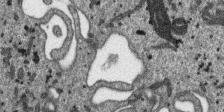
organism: Human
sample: Lung epithelial cells infected with SARS-CoV-2